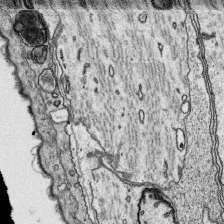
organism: Platynereis dumerilii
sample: Parapodia